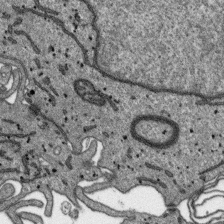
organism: Human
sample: Lung epithelial cells, uninfected (mock) control